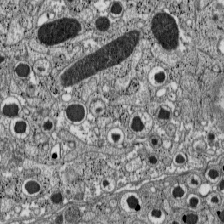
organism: C57BL Mouse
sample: Pancreatic islet